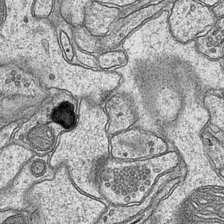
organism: Mouse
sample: CA1 Hippocampus